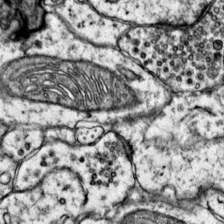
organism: Mouse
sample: Primary visual cortex